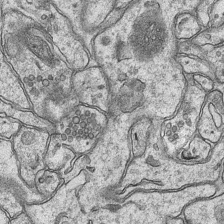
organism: Mouse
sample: CA1 Hippocampus